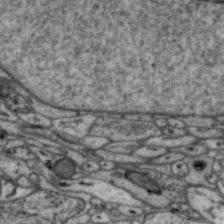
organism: Zebra finch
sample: Brain